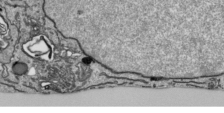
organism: Human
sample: Mitochondria in HCT116 cells